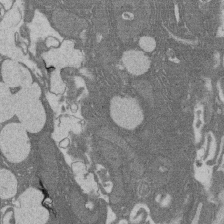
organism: Rat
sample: Salivary granule